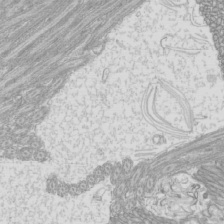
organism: Mouse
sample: Cilia; mouse epididymis